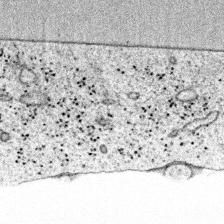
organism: Human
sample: HeLa cells